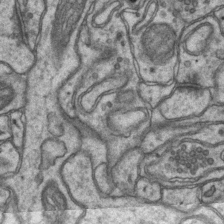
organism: Mouse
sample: CA1 Hippocampus